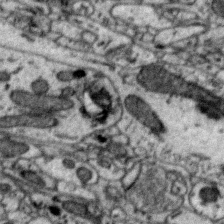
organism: Zebra finch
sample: Brain